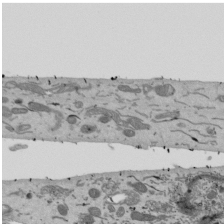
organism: Mouse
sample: ED-1 cell nuclei; centrioles